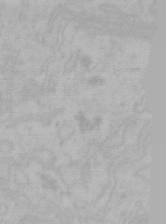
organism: Mouse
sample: Choroid plexus